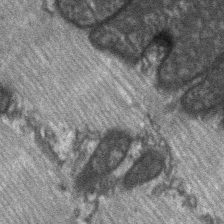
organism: C57BL Mouse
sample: Soleus